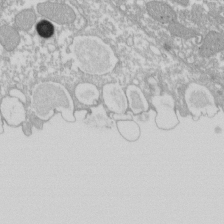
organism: Xenopus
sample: Cilia; centrioles in frog embryo cells